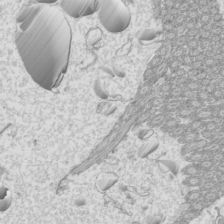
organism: Mouse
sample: Cilia; mouse epididymis